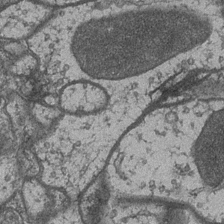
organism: Drosophila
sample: Optic medulla